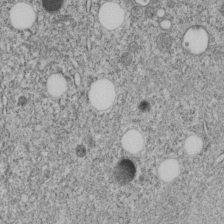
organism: C. elegans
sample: C. elegans embryo early stage